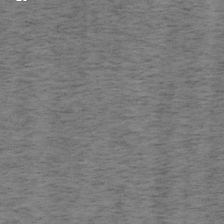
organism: Mouse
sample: OT-I killer T cells with ID8 ovarian cancer cells